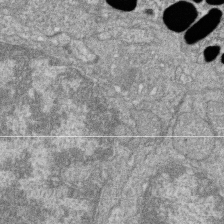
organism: Zebrafish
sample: Cilia; retinal pigment epithelium